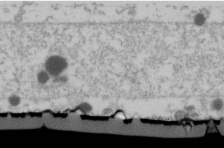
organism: Human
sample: U2-OS cells